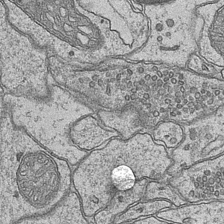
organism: Mouse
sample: CA1 Hippocampus